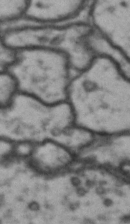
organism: Drosophila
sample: Brain